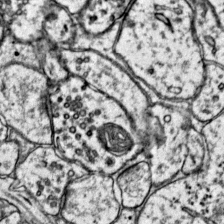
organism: Mouse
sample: Primary visual cortex